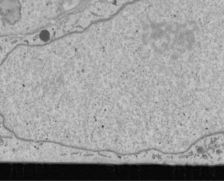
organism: Human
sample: Mitochondria in U2OS cells